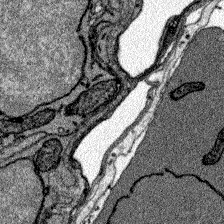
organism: Zebrafish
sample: Larval olfactory bulb